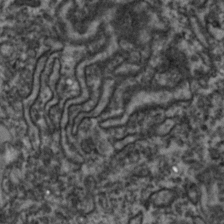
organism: Zebrafish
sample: Zebrafish embryo